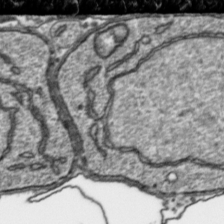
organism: Toxoplasma gondii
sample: Parasites in a vacuole inside a host cell